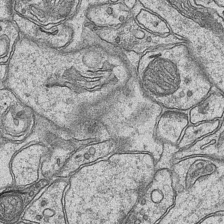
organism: Mouse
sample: CA1 Hippocampus